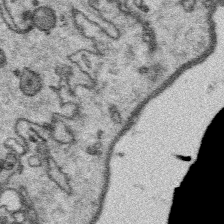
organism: Platynereis dumerilii